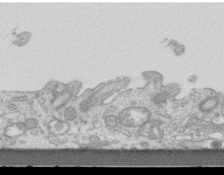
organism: Mouse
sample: Centriole in ependymal cells